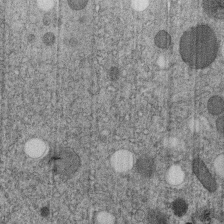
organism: C. elegans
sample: C. elegans embryo early stage